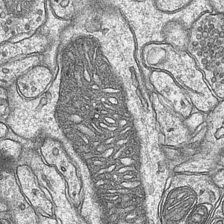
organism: Mouse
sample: CA1 Hippocampus